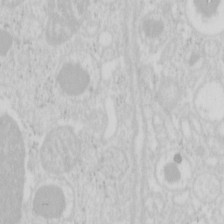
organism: Mouse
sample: Pancreas